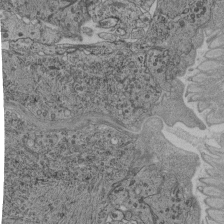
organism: C. elegans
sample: C. elegans pharynx